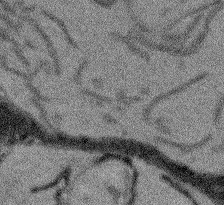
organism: Arabidopsis thaliana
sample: Root tip